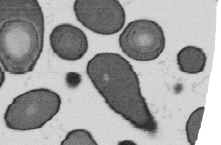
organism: B. subtilis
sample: Bacterial spore